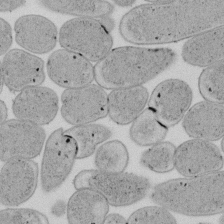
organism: E. coli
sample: Bacterial nucleoid